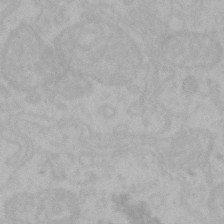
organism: Mouse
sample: Choroid plexus